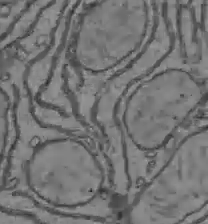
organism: C57BL Mouse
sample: Liver